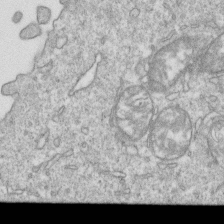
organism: Mouse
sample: Activated OT-1 CD8+ T cells